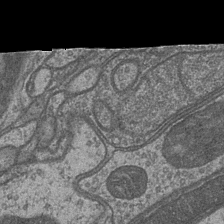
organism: Drosophila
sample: Optic medulla